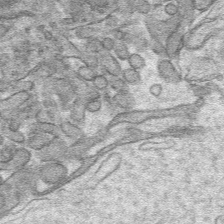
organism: Mouse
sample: Mouse hepatocytes